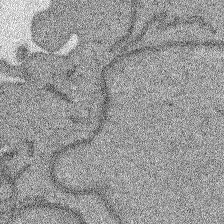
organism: Human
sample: HeLa cells